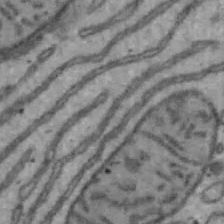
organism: Mouse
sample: Liver